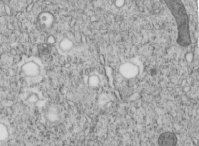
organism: C. elegans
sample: C. elegans embryo early stage